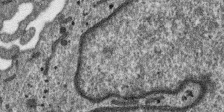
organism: Human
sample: Lung epithelial cells infected with SARS-CoV-2